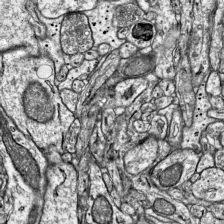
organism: Mouse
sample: Visual Cortex